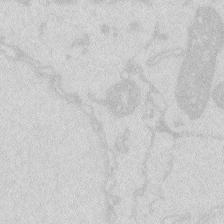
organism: Zebrafish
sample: Macrophage